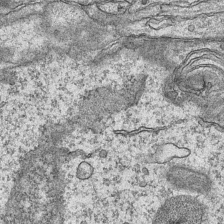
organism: Mouse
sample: CA1 Hippocampus